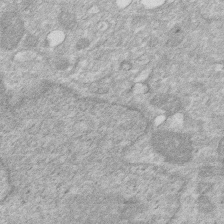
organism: Human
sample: HIV infected U937 cells